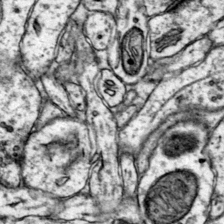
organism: Mouse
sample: Primary visual cortex